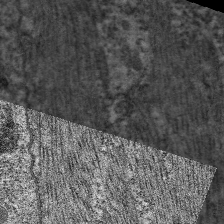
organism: C. elegans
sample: Pharynx